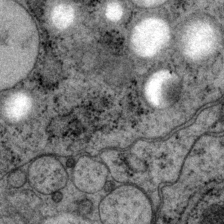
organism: P. pacificus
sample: Pharynx